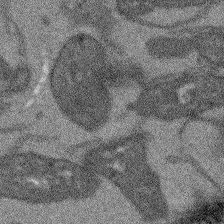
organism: Arabidopsis thaliana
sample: Root tip